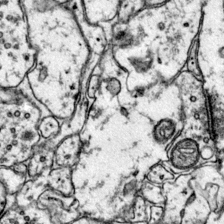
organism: Mouse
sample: Primary visual cortex